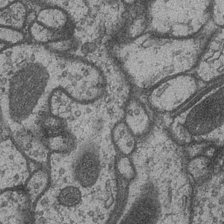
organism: Drosophila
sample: Optic medulla